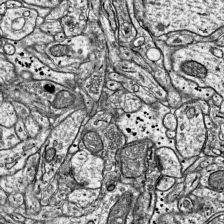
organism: Mouse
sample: Visual Cortex